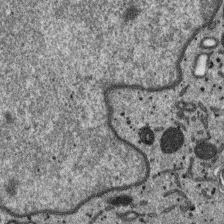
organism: Human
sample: Lung epithelial cells infected with SARS-CoV-2